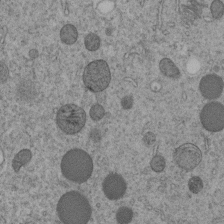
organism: C. elegans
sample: C. elegans embryo early stage